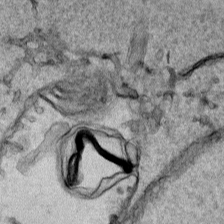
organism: Human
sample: Mitochondria in HCT116 cells